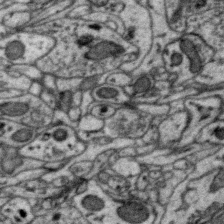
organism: Zebra finch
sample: Brain